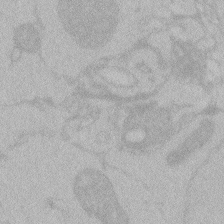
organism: Zebrafish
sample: Macrophage infected with Toxoplasma gondii